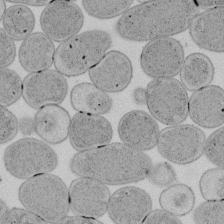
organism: E. coli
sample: Bacterial nucleoid